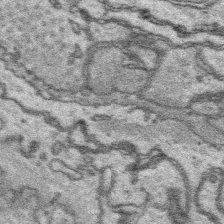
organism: Platynereis dumerilii